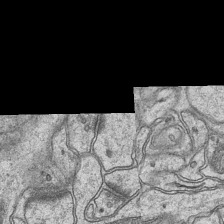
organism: Mouse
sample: CA1 Hippocampus